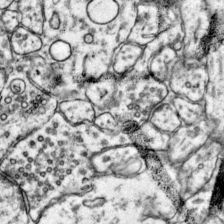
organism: Mouse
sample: Primary visual cortex